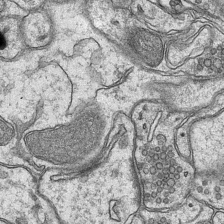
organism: Mouse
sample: CA1 Hippocampus